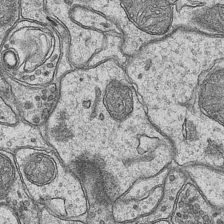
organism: Mouse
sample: CA1 Hippocampus